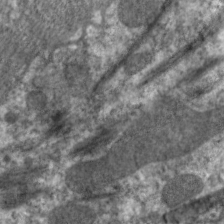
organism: C. elegans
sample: Pharynx